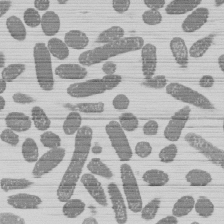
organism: E. coli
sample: Bacterial nucleoid